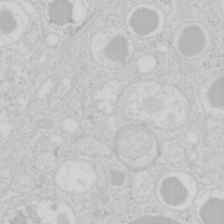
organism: Mouse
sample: Pancreas